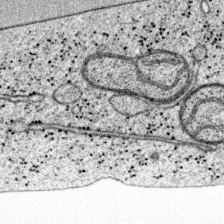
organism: Human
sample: HeLa cells